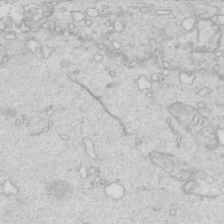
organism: Mouse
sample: Multiciliated cells